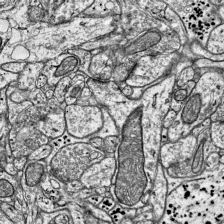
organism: Mouse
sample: Visual Cortex